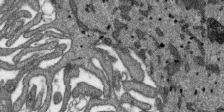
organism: Human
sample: Lung epithelial cells, uninfected (mock) control